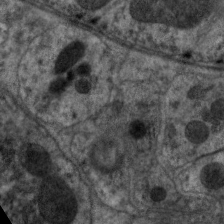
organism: C. elegans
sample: Pharynx